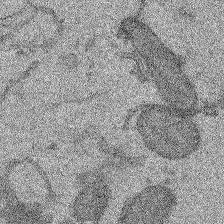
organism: Human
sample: HeLa cells